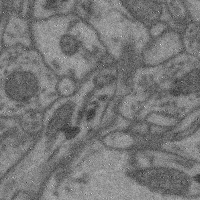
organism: Mouse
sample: Cerebral cortex